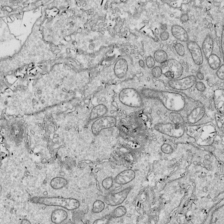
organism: Drosophila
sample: Cell division; meiosis; drosophila spermatocytes